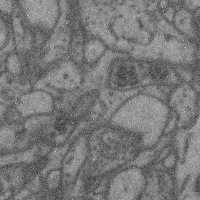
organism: Mouse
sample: Cerebral cortex